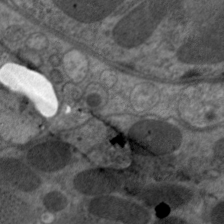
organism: C. elegans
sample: Pharynx